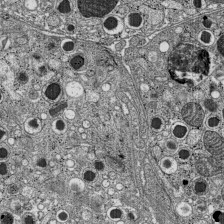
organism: C57BL Mouse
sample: Pancreatic islet